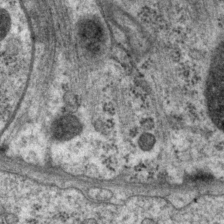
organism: P. pacificus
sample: Pharynx